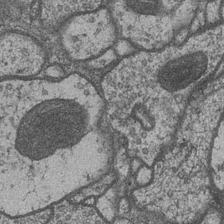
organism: Drosophila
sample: Optic medulla